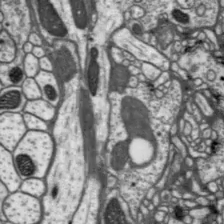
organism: Drosophila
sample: Protocerebral bridge